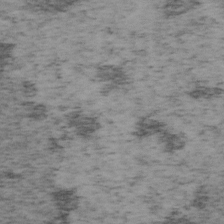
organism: Mouse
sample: OT-I killer T cells with ID8 ovarian cancer cells